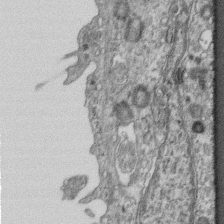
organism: Mouse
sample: Centriole in ependymal cells